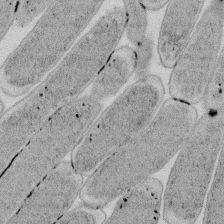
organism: E. coli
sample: Bacterial nucleoid